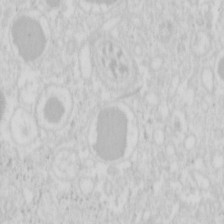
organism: Mouse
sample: Pancreas